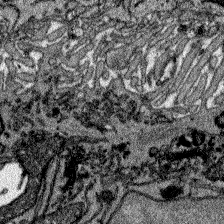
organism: Zebrafish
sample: Larval olfactory bulb